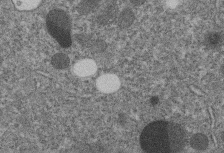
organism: C. elegans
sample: C. elegans embryo early stage